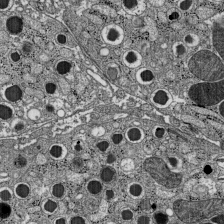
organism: C57BL Mouse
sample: Pancreatic islet